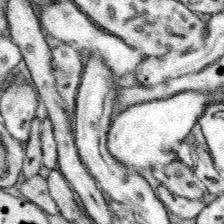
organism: Mouse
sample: Somatosensory cortex neuropil